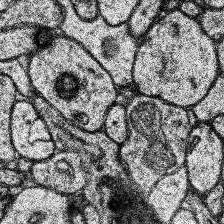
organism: Human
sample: Temporal Lobe